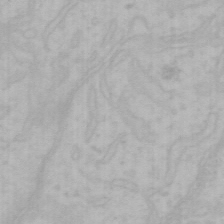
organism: Mouse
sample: Choroid plexus